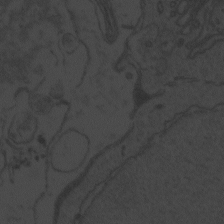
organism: Zebrafish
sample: Macrophage infected with Toxoplasma gondii